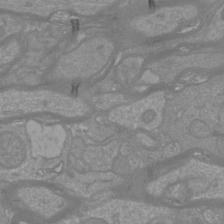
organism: Mouse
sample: Cortical neurons